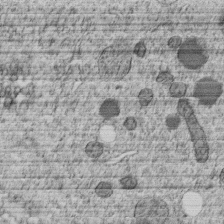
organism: C. elegans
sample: C. elegans embryo early stage